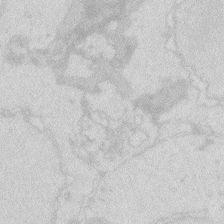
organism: Zebrafish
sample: Macrophage